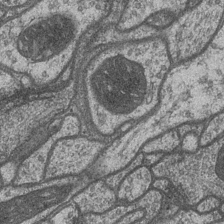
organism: Drosophila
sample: Optic medulla